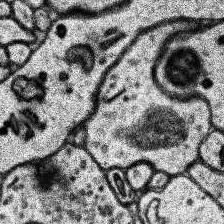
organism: Human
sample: Temporal Lobe